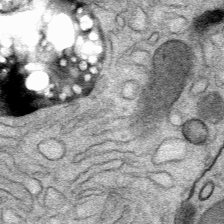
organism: Mouse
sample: Mouse Salivary gland